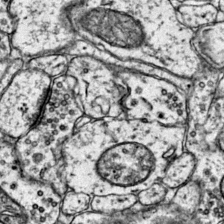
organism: Mouse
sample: Primary visual cortex